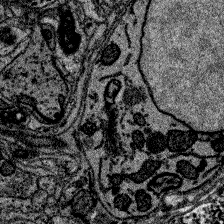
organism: Zebrafish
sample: Larval olfactory bulb